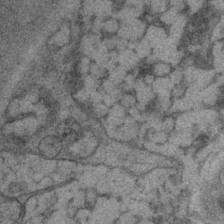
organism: P. pacificus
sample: Pharynx